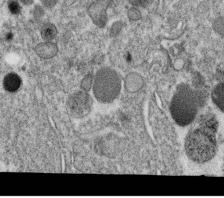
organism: C. elegans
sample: C. elegans oocyte; sperm cells